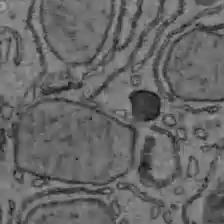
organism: C57BL Mouse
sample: Liver